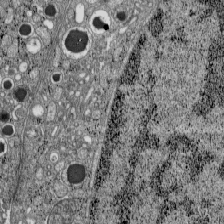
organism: C57BL Mouse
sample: Pancreatic islet